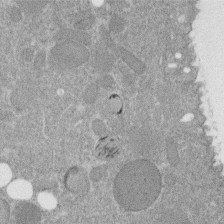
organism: C. elegans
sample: C. elegans embryo early stage